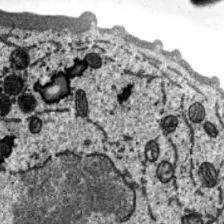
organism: Human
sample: HeLa cells